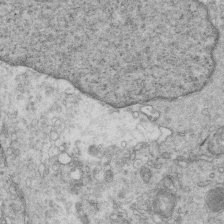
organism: Mouse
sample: Multiciliated cells